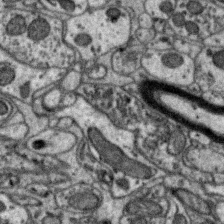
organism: Zebra finch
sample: Brain